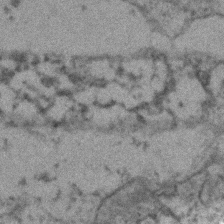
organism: Zebrafish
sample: Zebrafish embryo